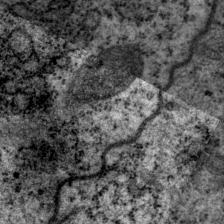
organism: P. pacificus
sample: Pharynx